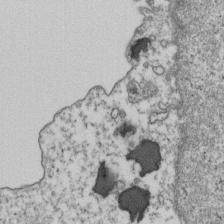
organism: Human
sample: Activated Jurkat CD4+ T cells